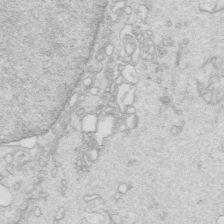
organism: Mouse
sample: Multiciliated cells